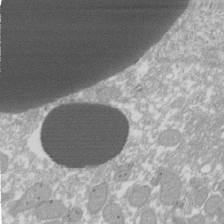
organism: Xenopus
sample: Cilia; centrioles in frog embryo cells